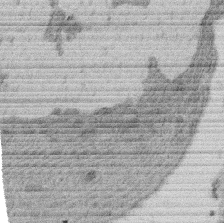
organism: Rat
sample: Salivary granule